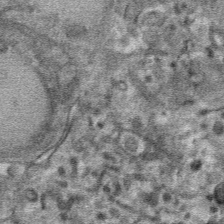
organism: Mouse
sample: Mouse hepatocytes